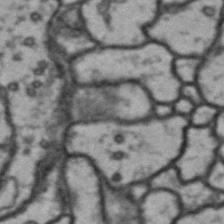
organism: Drosophila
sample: Brain